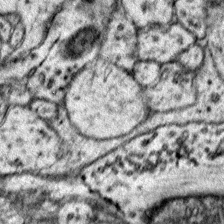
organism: Mouse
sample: Primary visual cortex